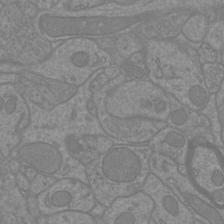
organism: Mouse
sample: Cortical neurons